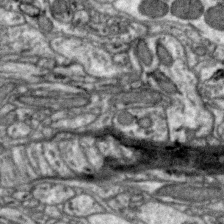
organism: Zebra finch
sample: Brain